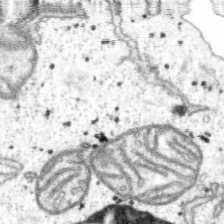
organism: Human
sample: HeLa cells